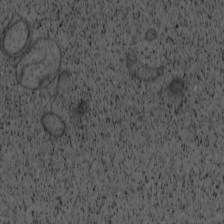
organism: African green monkey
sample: COS-7 cells